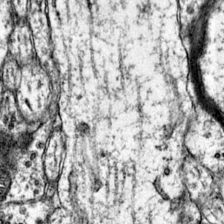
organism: Mouse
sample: Primary visual cortex